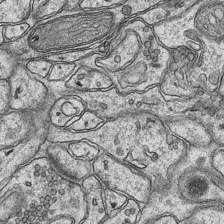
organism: Mouse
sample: CA1 Hippocampus